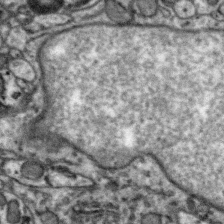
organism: Zebra finch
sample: Brain